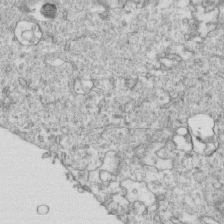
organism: Mouse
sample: Activated OT-1 CD8+ T cells